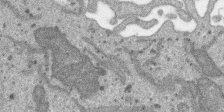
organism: Human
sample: Lung epithelial cells infected with SARS-CoV-2